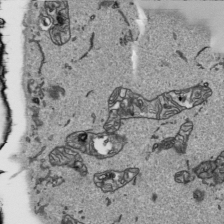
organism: Human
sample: Mitochondria in HCT116 cells